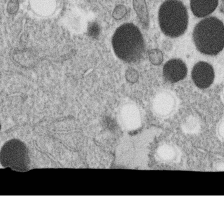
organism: C. elegans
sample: C. elegans oocyte; sperm cells